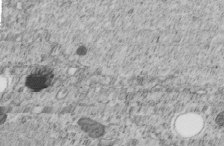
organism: C. elegans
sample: C. elegans embryo early stage